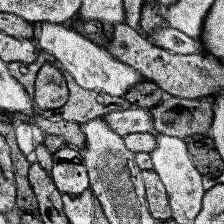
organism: Human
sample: Temporal Lobe